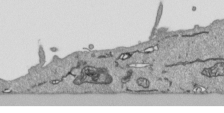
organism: Human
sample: Mitochondria in HCT116 cells